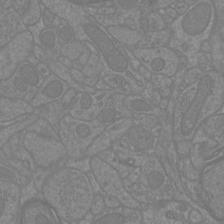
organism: Mouse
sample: Cortical neurons